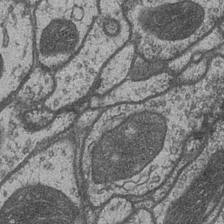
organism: Drosophila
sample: Optic medulla